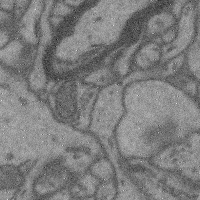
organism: Mouse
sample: Cerebral cortex